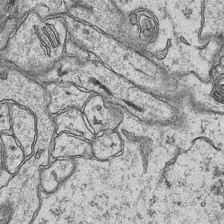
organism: Mouse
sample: CA1 Hippocampus